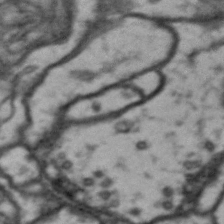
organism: Drosophila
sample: Brain